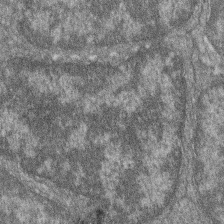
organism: Zebrafish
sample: Cilia; retinal pigment epithelium